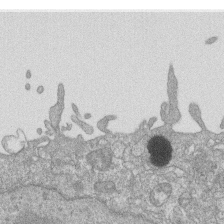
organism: Human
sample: HeLa cell HIV synapse